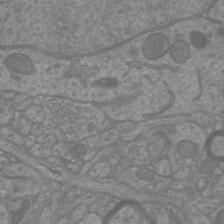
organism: Mouse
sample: Cortical neurons